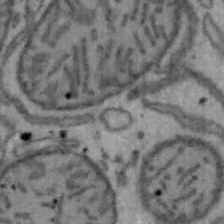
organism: Mouse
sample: Liver